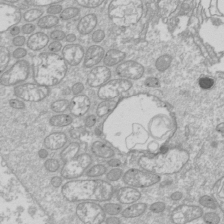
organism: Drosophila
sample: Cell division; meiosis; drosophila spermatocytes